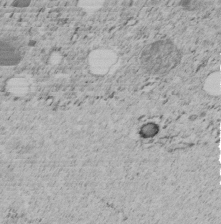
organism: C. elegans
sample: C. elegans embryo early stage